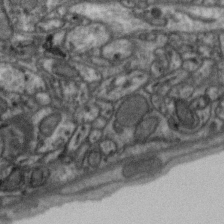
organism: Zebra finch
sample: Brain